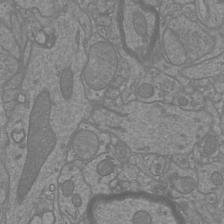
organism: Mouse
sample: Cortical neurons